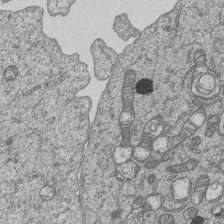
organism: Human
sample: MDA-MB-231 cells